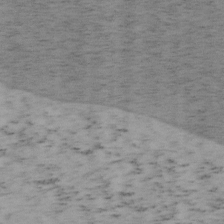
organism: Mouse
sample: OT-I killer T cells with ID8 ovarian cancer cells